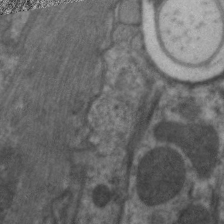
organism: C. elegans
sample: Pharynx